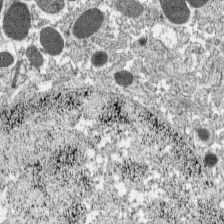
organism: C57BL Mouse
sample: Pancreatic islet